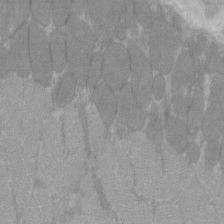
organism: C57BL Mouse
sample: Tibialis anterior muscle cell